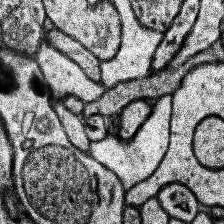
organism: Human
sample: Temporal Lobe